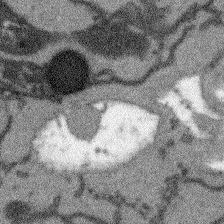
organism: Arabidopsis thaliana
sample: Root tip